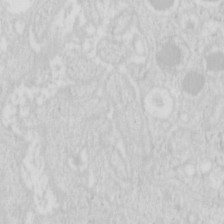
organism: Mouse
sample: Pancreas